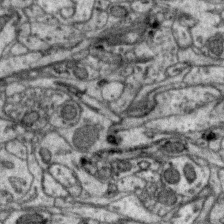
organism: Zebra finch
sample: Brain